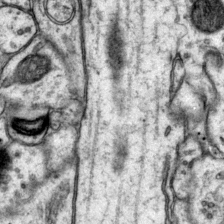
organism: Mouse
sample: Primary visual cortex